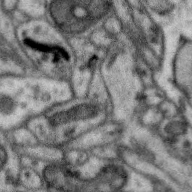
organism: Zebra finch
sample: Brain